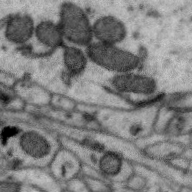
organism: Zebra finch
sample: Brain